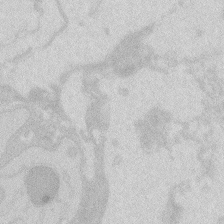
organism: Zebrafish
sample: Macrophage